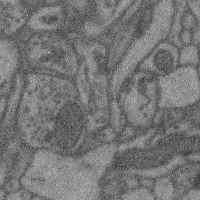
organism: Mouse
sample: Cerebral cortex